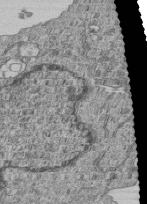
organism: Human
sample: MDA-MB-231 cells